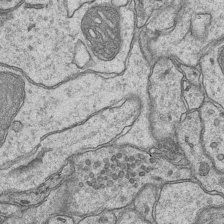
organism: Mouse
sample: CA1 Hippocampus